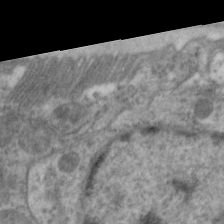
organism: C. elegans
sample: Pharynx